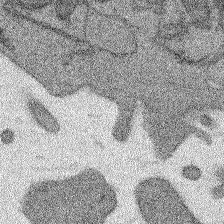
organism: Human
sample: HeLa cells